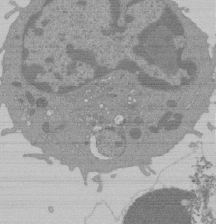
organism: Mouse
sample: Activated Pmel transgenic CD8+ T Cells